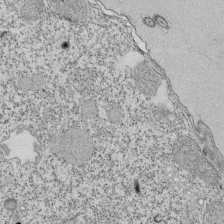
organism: Tetrahymena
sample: Cilia in tetrahymena